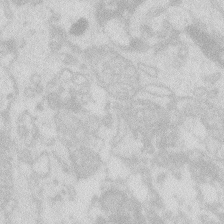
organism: Zebrafish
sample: Macrophage